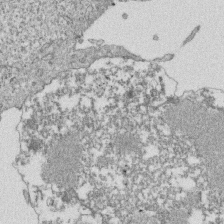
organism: Human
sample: HeLa cell HIV synapse